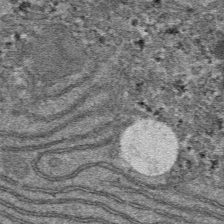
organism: Mouse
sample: Mouse hepatocytes